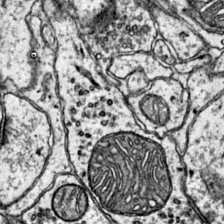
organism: Mouse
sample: Primary visual cortex